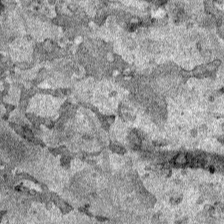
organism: Human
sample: Mitochondria in HCT116 cells